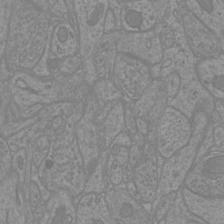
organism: Mouse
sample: Cortical neurons